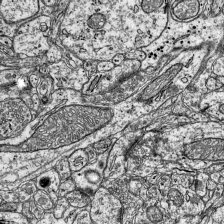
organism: Mouse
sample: Visual Cortex